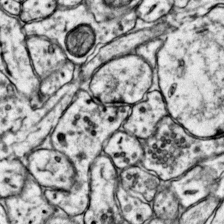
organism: Mouse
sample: Primary visual cortex